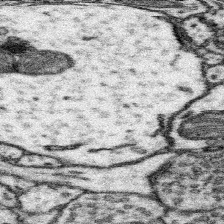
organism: Mouse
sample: Somatosensory cortex neuropil